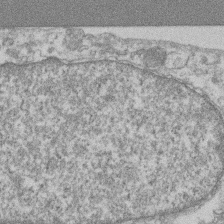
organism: Mouse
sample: T cell stromal cell synapse